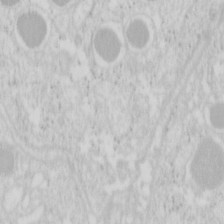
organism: Mouse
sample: Pancreas